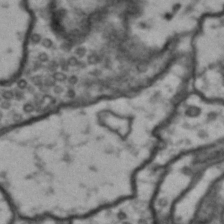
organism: Drosophila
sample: Brain